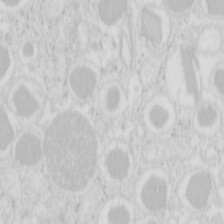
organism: Mouse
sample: Pancreas